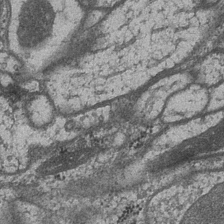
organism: Drosophila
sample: Optic medulla